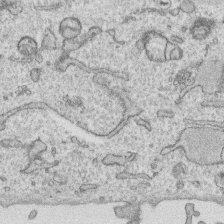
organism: Human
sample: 1205lu cells